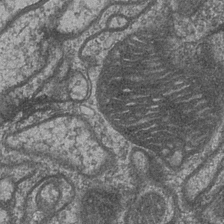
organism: Drosophila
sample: Optic medulla